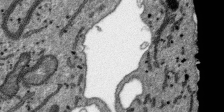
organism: Human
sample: Lung epithelial cells, uninfected (mock) control